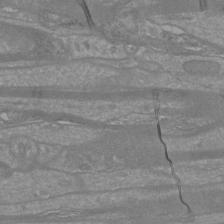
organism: Mouse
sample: Cortical neurons